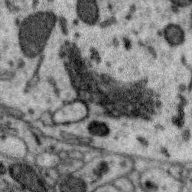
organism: Zebra finch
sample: Brain